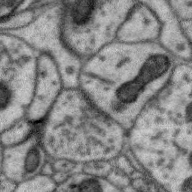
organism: Zebra finch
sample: Brain